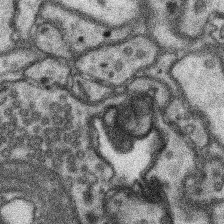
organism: Mouse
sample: Somatosensory cortex neuropil